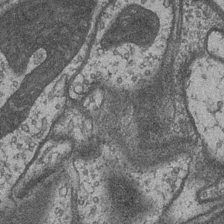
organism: Drosophila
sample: Optic medulla